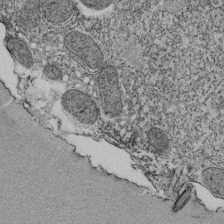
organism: Tetrahymena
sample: Cilia in tetrahymena